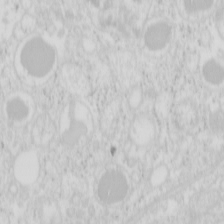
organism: Mouse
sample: Pancreas